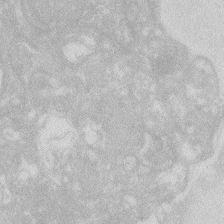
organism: Zebrafish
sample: Macrophage